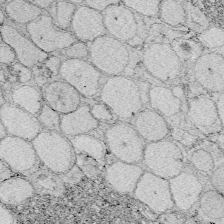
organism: Zebrafish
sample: Whole-Brain